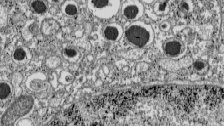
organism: C57BL Mouse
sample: Pancreatic islet